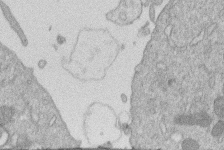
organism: Human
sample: Macrophage cells